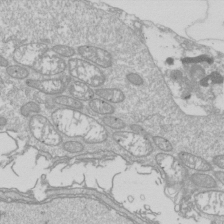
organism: Drosophila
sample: Cell division; meiosis; drosophila spermatocytes